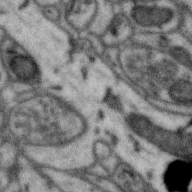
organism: Zebra finch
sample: Brain